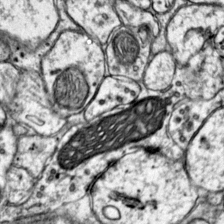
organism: Mouse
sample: Primary visual cortex